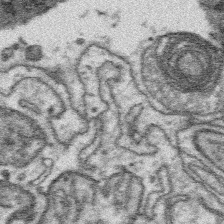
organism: Platynereis dumerilii